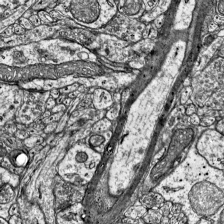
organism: Mouse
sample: Visual Cortex